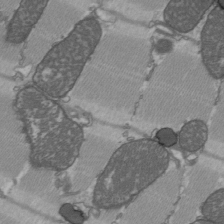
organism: C57BL Mouse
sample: Heart